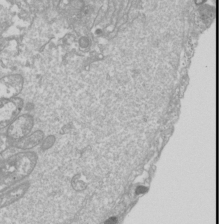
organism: Drosophila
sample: Cell division; meiosis; drosophila spermatocytes